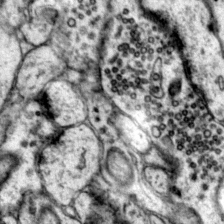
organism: Mouse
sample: Primary visual cortex